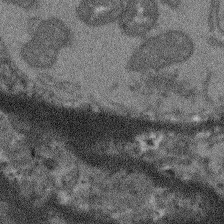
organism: Arabidopsis thaliana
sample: Root tip